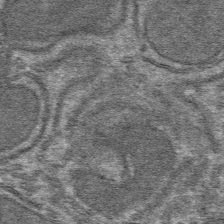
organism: Mouse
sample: Mouse hepatocytes